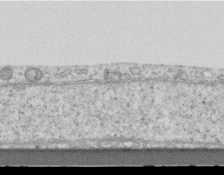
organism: Mouse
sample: Centriole in ependymal cells